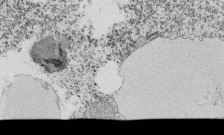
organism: Tetrahymena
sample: Cilia in tetrahymena